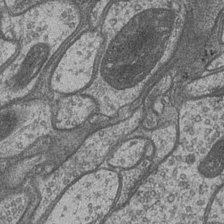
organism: Drosophila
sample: Optic medulla